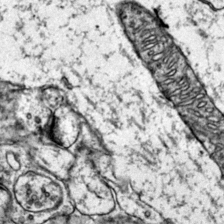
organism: Mouse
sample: Primary visual cortex